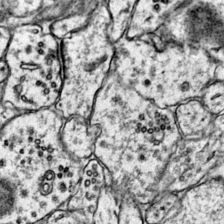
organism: Mouse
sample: Primary visual cortex